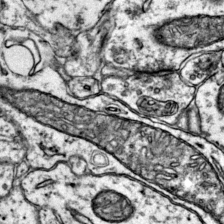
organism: Mouse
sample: Primary visual cortex